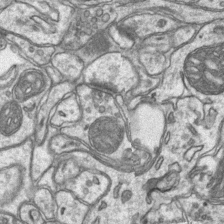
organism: Mouse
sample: CA1 Hippocampus